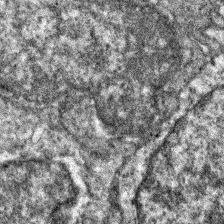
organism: Zebrafish